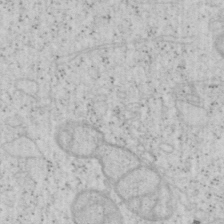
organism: Human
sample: HeLa cells